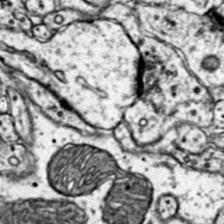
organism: Mouse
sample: Primary visual cortex